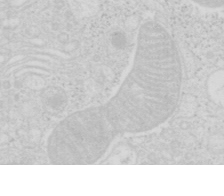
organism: Mouse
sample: Pancreas